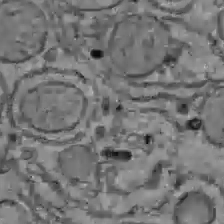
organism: C57BL Mouse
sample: Liver